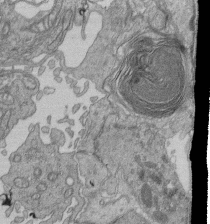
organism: Human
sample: Retinal organoid Rod and Cone cells